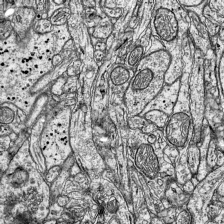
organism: Mouse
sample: Visual Cortex